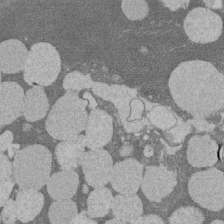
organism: Rat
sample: Salivary granule